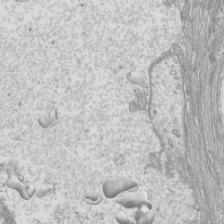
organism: Mouse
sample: Cilia; mouse epididymis